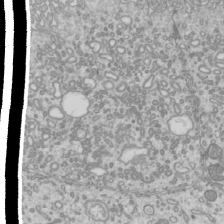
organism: Mouse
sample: Cilia; mouse epididymis